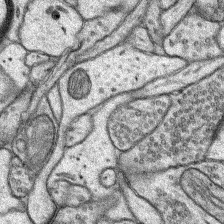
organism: Rat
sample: Hippocampus